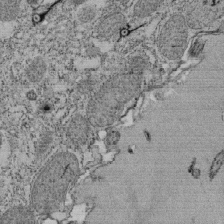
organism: Tetrahymena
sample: Cilia in tetrahymena